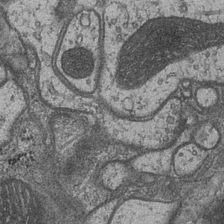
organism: Drosophila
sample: Optic medulla